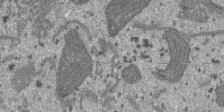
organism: Human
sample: Lung epithelial cells infected with SARS-CoV-2